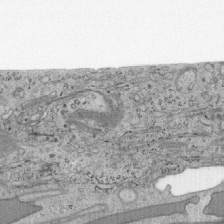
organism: Human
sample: HeLa cells